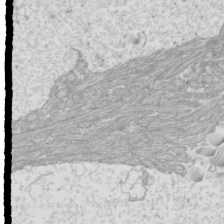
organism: Mouse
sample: Cilia; mouse epididymis